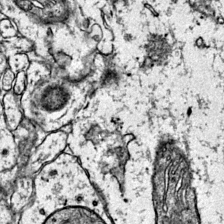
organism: Mouse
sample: Primary visual cortex